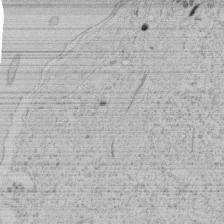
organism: Tetrahymena